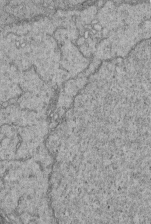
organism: Human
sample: Retinal organoid Rod and Cone cells